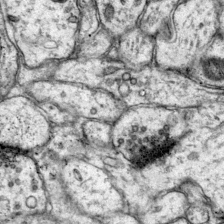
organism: Mouse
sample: Primary visual cortex